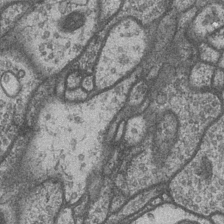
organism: Drosophila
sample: Optic medulla